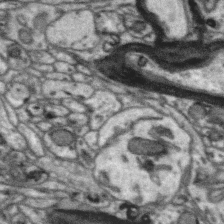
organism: Zebra finch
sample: Brain